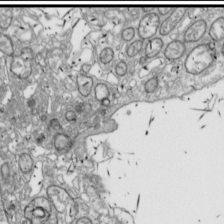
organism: Drosophila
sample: Cell division; meiosis; drosophila spermatocytes